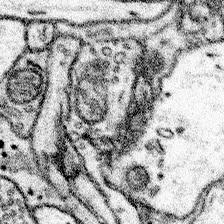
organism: Mouse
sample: Somatosensory cortex neuropil